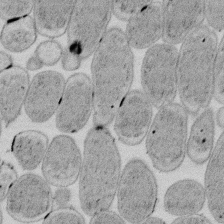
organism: E. coli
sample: Bacterial nucleoid